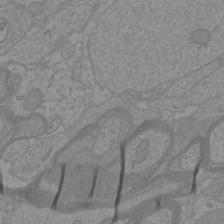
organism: Mouse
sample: Cortical neurons